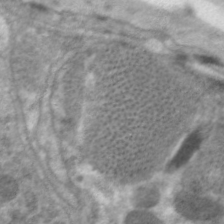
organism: C. elegans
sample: Pharynx